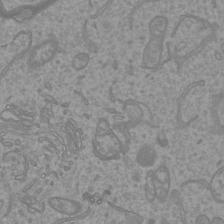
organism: Mouse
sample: Cortical neurons